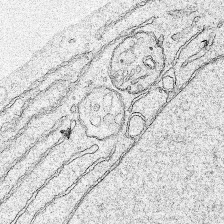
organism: Human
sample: Mitochondria in HCT116 cells